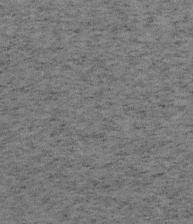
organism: Mouse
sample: OT-I killer T cells with ID8 ovarian cancer cells